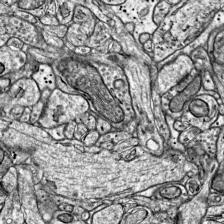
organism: Mouse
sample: Visual Cortex